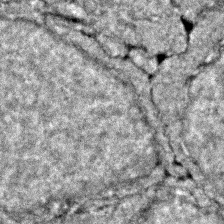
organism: Zebrafish